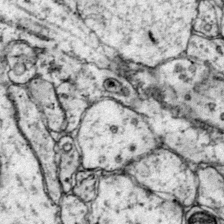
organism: Mouse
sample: Primary visual cortex